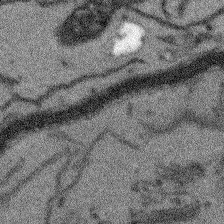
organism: Arabidopsis thaliana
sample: Root tip